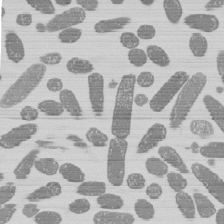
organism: E. coli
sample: Bacterial nucleoid